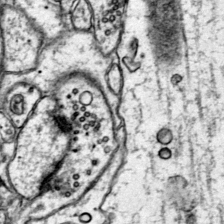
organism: Mouse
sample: Primary visual cortex